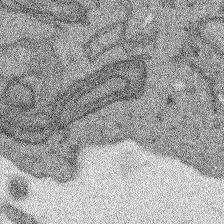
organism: Human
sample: HeLa cells